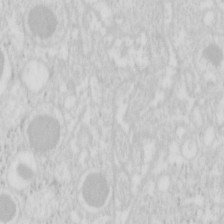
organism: Mouse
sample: Pancreas